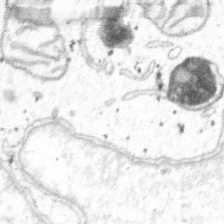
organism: Human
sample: HeLa cells